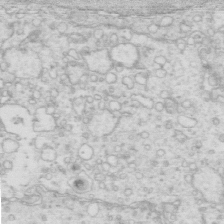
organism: Mouse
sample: Multiciliated cells